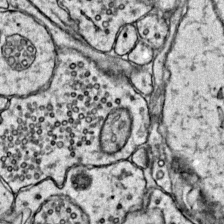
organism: Mouse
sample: Primary visual cortex